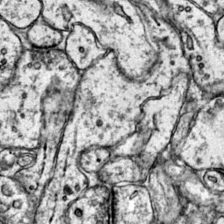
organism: Mouse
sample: Primary visual cortex